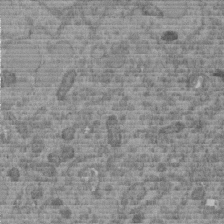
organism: C. elegans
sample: C. elegans embryo early stage